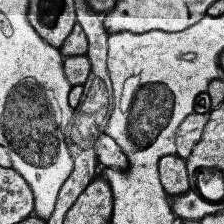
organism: Human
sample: Temporal Lobe